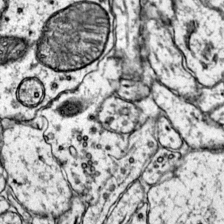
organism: Mouse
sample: Primary visual cortex